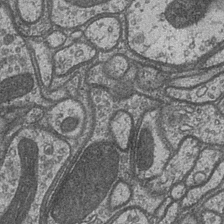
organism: Drosophila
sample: Optic medulla